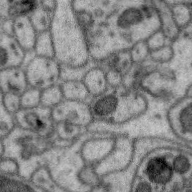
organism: Zebra finch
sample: Brain